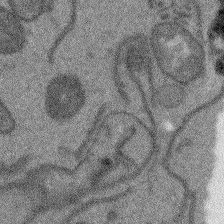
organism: Arabidopsis thaliana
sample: Root tip